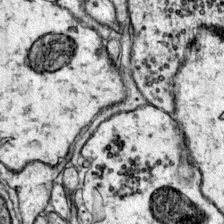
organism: Mouse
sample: Primary visual cortex